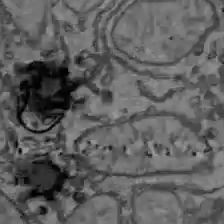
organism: C57BL Mouse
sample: Liver